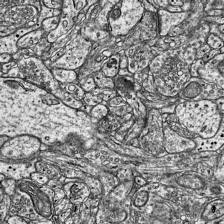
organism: Mouse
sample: Visual Cortex